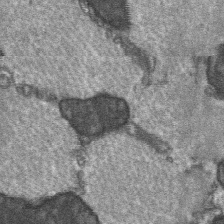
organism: C57BL Mouse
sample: Soleus